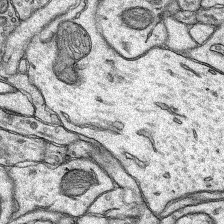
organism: Rat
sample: Hippocampus